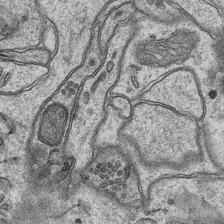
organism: Mouse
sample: CA1 Hippocampus